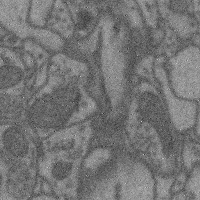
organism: Mouse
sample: Cerebral cortex